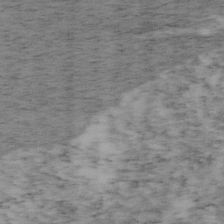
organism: Mouse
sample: OT-I killer T cells with ID8 ovarian cancer cells